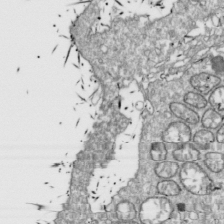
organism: Drosophila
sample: Cell division; meiosis; drosophila spermatocytes